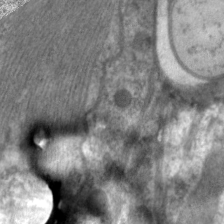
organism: C. elegans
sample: Pharynx